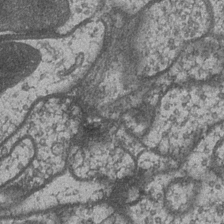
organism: Drosophila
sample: Optic medulla